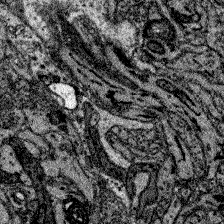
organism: Zebrafish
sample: Larval olfactory bulb